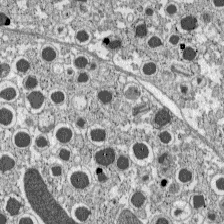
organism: C57BL Mouse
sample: Pancreatic islet